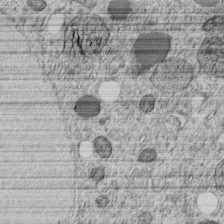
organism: C. elegans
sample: C. elegans embryo early stage